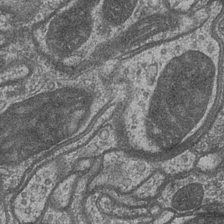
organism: Drosophila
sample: Optic medulla